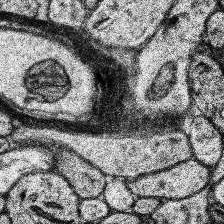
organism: Human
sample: Temporal Lobe